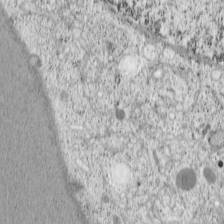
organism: African green monkey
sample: COS-7 cells